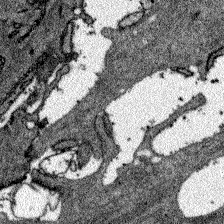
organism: Zebrafish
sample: Larval olfactory bulb